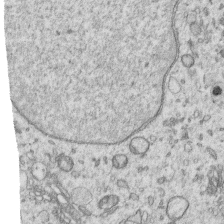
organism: Human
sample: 1205lu cells